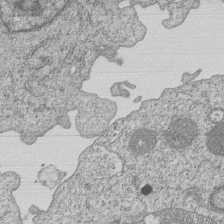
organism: Human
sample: MDA-MB-231 cells